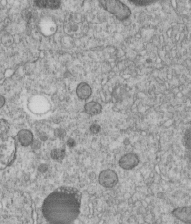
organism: C. elegans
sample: C. elegans embryo early stage